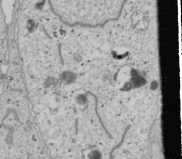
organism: Human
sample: Mitochondria in U2OS cells